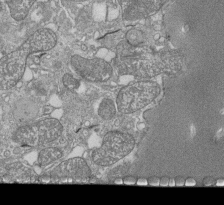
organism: Tetrahymena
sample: Cilia in tetrahymena